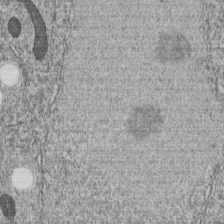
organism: C. elegans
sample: C. elegans embryo early stage